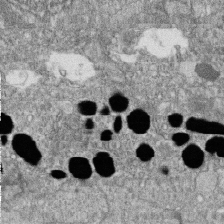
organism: Zebrafish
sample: Cilia; retinal pigment epithelium